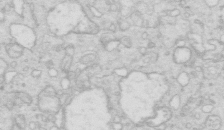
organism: Mouse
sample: Multiciliated cells